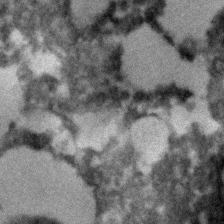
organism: C. elegans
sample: C. elegans embryo